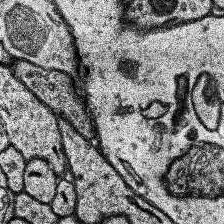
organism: Human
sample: Temporal Lobe